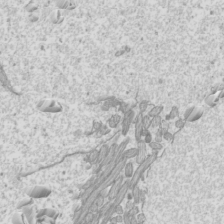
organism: Mouse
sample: Cilia; mouse epididymis